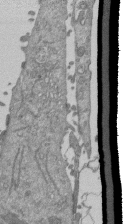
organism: Mouse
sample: ED-1 cell nuclei; centrioles